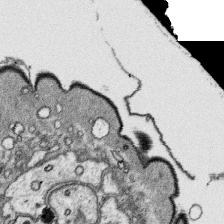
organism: Platynereis dumerilii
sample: Parapodia